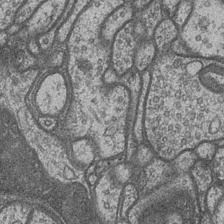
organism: Drosophila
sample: Optic medulla